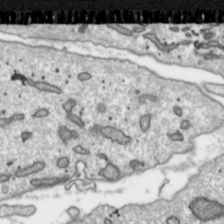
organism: Toxoplasma gondii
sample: Parasites in a vacuole inside a host cell